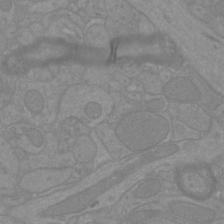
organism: Mouse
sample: Cortical neurons